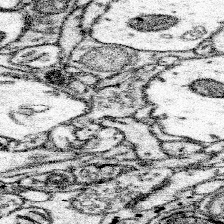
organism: Mouse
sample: Somatosensory cortex neuropil